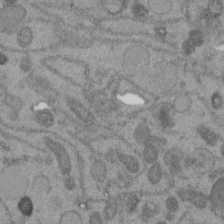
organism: C. elegans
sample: C. elegans embryo early stage